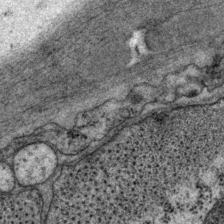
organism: P. pacificus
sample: Pharynx